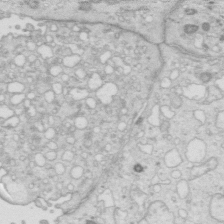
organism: Mouse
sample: Multiciliated cells